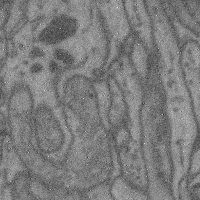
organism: Mouse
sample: Cerebral cortex